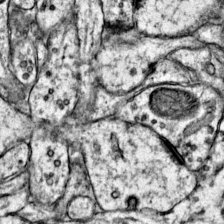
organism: Mouse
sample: Primary visual cortex